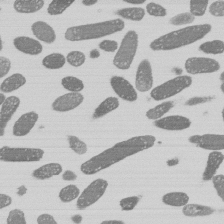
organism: E. coli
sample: Bacterial nucleoid